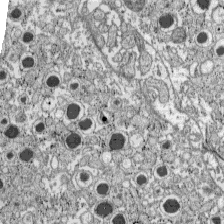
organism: C57BL Mouse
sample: Pancreatic islet